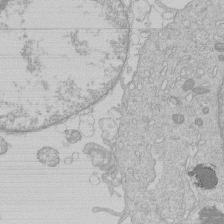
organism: Human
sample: Macrophage cells